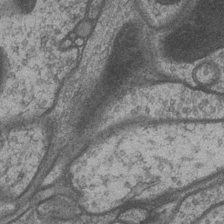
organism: Drosophila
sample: Optic medulla